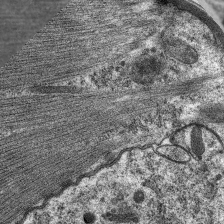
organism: C. elegans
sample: Pharynx